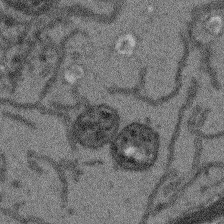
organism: Arabidopsis thaliana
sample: Root tip